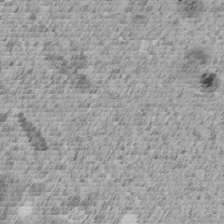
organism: C. elegans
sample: C. elegans embryo early stage